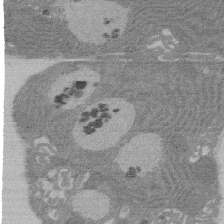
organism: Rat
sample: Salivary granule